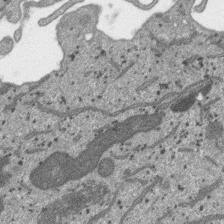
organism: Human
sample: Lung epithelial cells infected with SARS-CoV-2